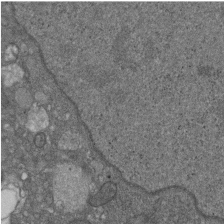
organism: Drosophila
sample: Nephrocyte